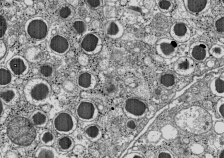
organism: C57BL Mouse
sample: Pancreatic islet